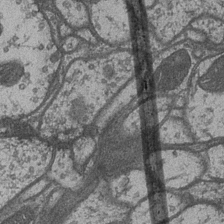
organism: Drosophila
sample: Optic medulla